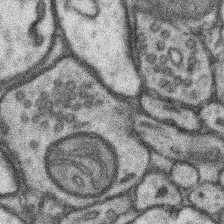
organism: Mouse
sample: Somatosensory cortex neuropil